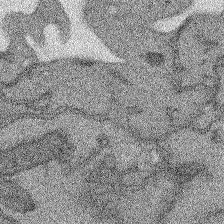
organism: Human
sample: HeLa cells